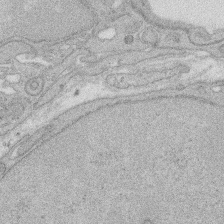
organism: Rat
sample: Salivary granule